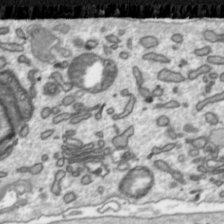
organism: Toxoplasma gondii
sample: Parasites in a vacuole inside a host cell